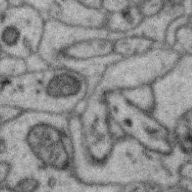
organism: Zebra finch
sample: Brain